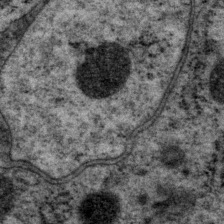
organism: P. pacificus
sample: Pharynx